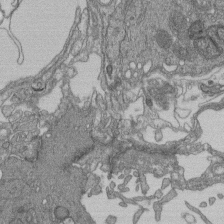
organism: Human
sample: Retinal organoid Rod and Cone cells